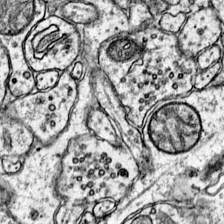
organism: Mouse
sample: Primary visual cortex